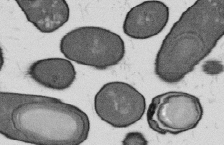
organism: B. subtilis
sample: Bacterial spore